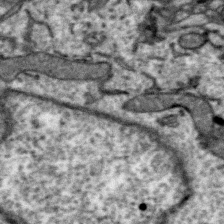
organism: Zebra finch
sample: Brain